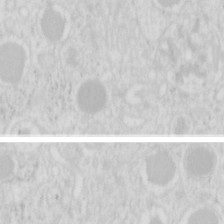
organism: Mouse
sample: Pancreas